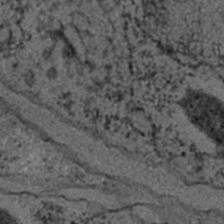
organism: C. elegans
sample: C. elegans embryo